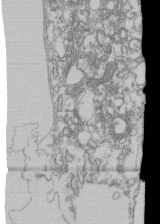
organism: Human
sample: Fibroblast cells